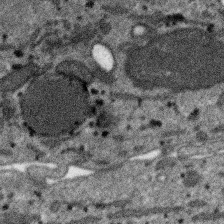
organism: Human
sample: Lung epithelial cells infected with SARS-CoV-2